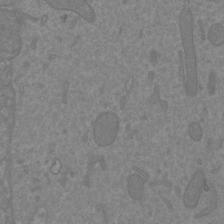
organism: Mouse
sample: Cortical neurons